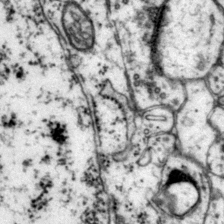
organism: Mouse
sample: Primary visual cortex